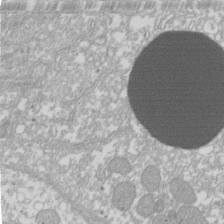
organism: Xenopus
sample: Cilia; centrioles in frog embryo cells